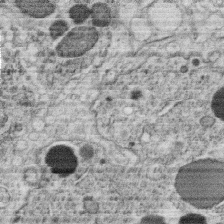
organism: C. elegans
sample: C. elegans oocyte; sperm cells